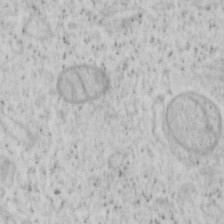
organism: Human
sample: HeLa cells